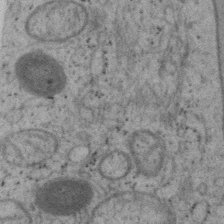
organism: Human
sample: HeLa cells